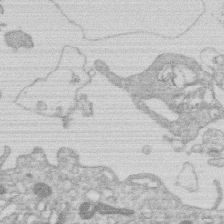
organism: Human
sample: Macrophage cells